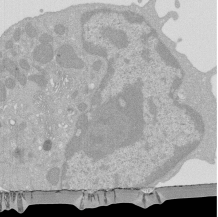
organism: Mouse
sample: Activated Pmel transgenic CD8+ T Cells